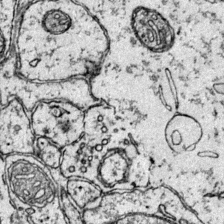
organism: Mouse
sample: Primary visual cortex